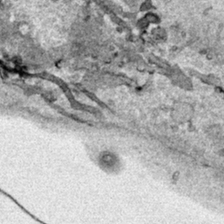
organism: Human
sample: Mitochondria in HCT116 cells